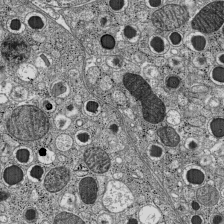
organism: C57BL Mouse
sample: Pancreatic islet